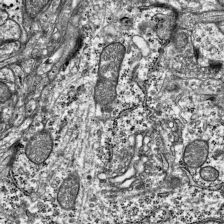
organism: Mouse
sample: Visual Cortex